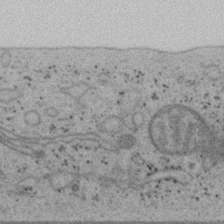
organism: Human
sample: HeLa cells